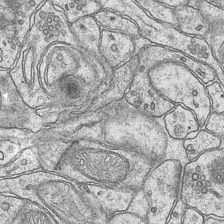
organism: Mouse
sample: CA1 Hippocampus